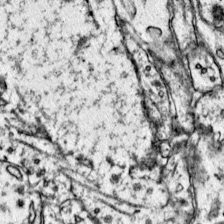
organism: Mouse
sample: Primary visual cortex